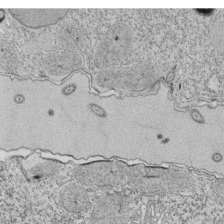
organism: Tetrahymena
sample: Cilia in tetrahymena